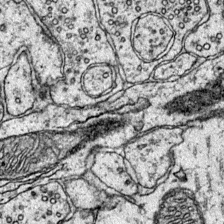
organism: Mouse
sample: Primary visual cortex